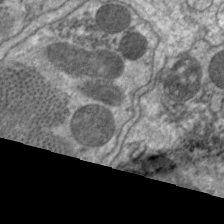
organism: C. elegans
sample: Pharynx